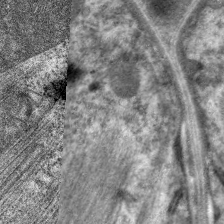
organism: C. elegans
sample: Pharynx